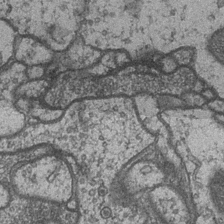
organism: Drosophila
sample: Optic medulla